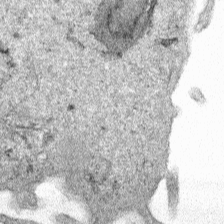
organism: Human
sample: Mitochondria in HCT116 cells